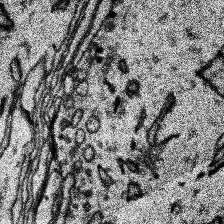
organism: Human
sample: Temporal Lobe